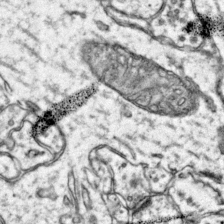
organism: Mouse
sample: Primary visual cortex